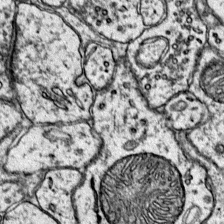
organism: Mouse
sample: Primary visual cortex